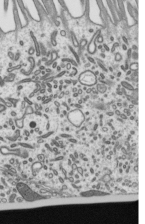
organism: Mouse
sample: Mouse epididymis efferent ductule cilia